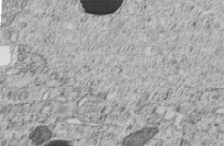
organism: C. elegans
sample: C. elegans embryo early stage